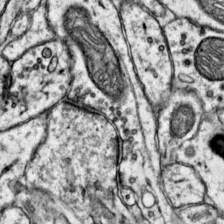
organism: Mouse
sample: Primary visual cortex